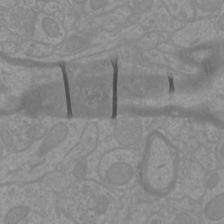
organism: Mouse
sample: Cortical neurons